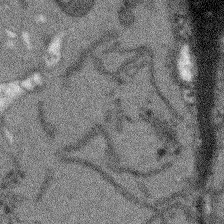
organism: Arabidopsis thaliana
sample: Root tip